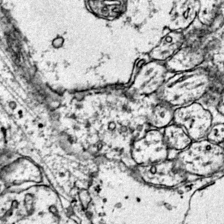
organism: Mouse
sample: Primary visual cortex